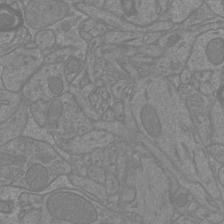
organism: Mouse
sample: Cortical neurons